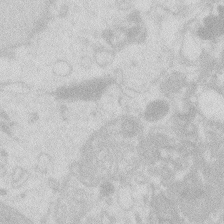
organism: Zebrafish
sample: Macrophage